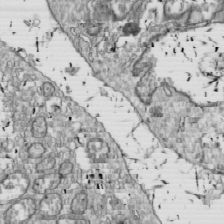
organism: Drosophila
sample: Cell division; meiosis; drosophila spermatocytes